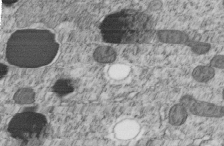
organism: C. elegans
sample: C. elegans embryo early stage